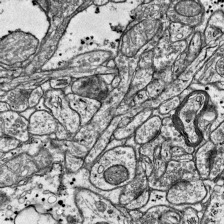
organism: Mouse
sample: Visual Cortex